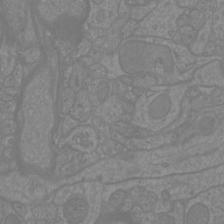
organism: Mouse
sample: Cortical neurons